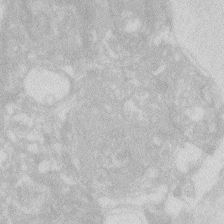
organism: Zebrafish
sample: Macrophage